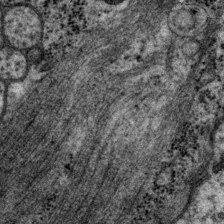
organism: P. pacificus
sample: Pharynx